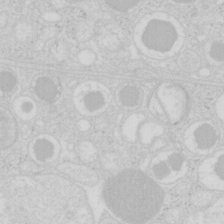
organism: Mouse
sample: Pancreas